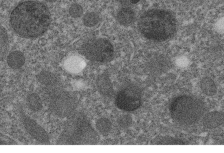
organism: C. elegans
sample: C. elegans embryo early stage